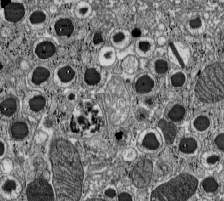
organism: C57BL Mouse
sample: Pancreatic islet